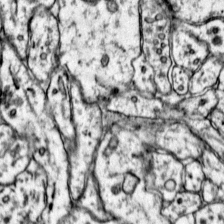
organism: Mouse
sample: Primary visual cortex